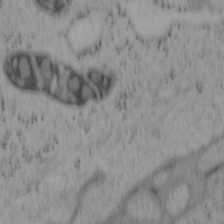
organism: Mouse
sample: OT-I killer T cells with ID8 ovarian cancer cells